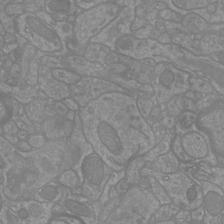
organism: Mouse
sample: Cortical neurons